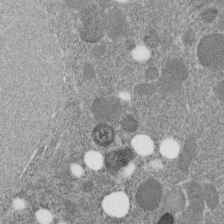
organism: C. elegans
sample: C. elegans embryo early stage